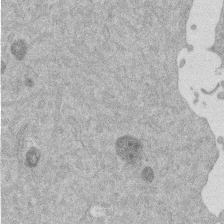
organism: Mouse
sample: Dividing mouse embryo 1 cell stage